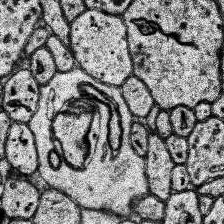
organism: Human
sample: Temporal Lobe